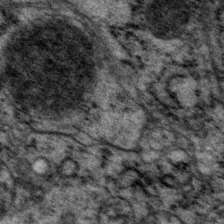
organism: P. pacificus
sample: Pharynx